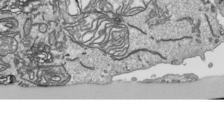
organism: Human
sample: Mitochondria in HCT116 cells